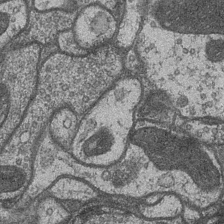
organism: Drosophila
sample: Optic medulla